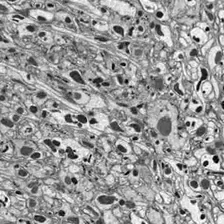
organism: Drosophila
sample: Optic lobe